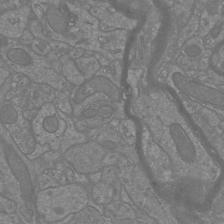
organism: Mouse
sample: Cortical neurons